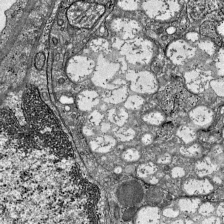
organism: Mouse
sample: Visual Cortex